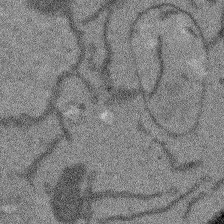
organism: Arabidopsis thaliana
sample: Root tip